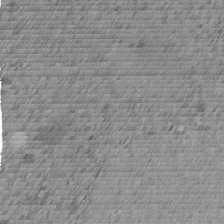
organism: C. elegans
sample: C. elegans embryo early stage